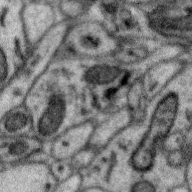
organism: Zebra finch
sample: Brain